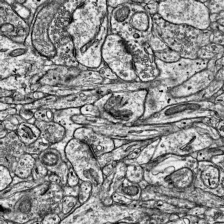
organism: Mouse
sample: Visual Cortex